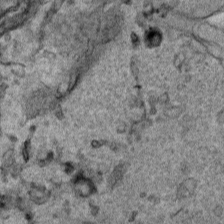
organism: Human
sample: Mitochondria in HCT116 cells